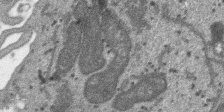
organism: Human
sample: Lung epithelial cells infected with SARS-CoV-2